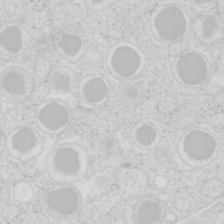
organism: Mouse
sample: Pancreas